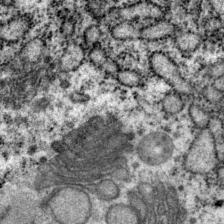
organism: P. pacificus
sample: Pharynx